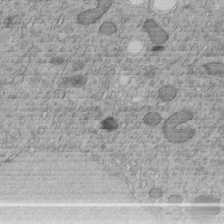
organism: C. elegans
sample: C. elegans embryo early stage